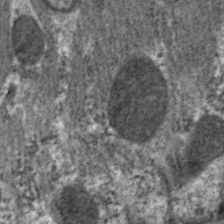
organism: C. elegans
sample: Pharynx